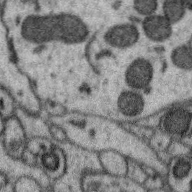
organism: Zebra finch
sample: Brain